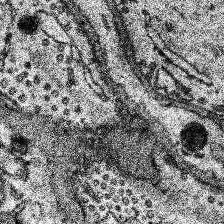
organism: Human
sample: Temporal Lobe